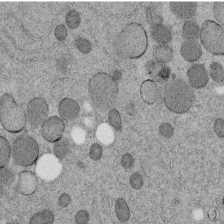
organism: C. elegans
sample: C. elegans embryo early stage